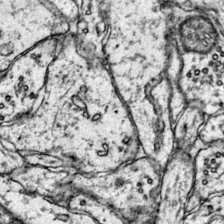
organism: Mouse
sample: Primary visual cortex